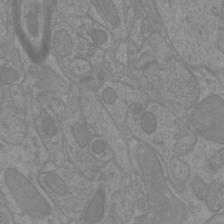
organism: Mouse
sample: Cortical neurons